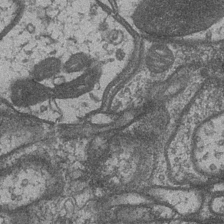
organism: Drosophila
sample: Optic medulla